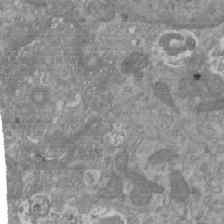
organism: Mouse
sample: ED-1 cell nuclei; centrioles